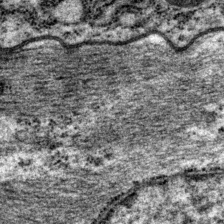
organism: P. pacificus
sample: Pharynx